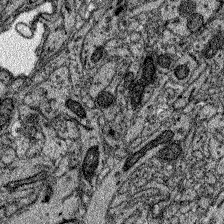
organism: Zebrafish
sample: Larval olfactory bulb